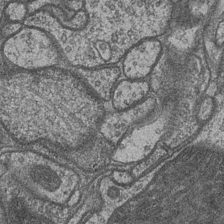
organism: Drosophila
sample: Optic medulla